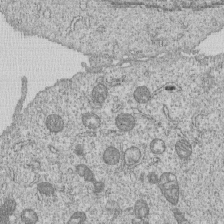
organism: Human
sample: MDA-MB-231 cells